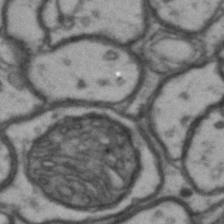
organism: Drosophila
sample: Brain